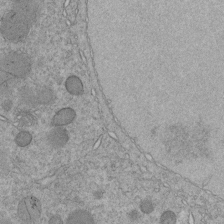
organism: C. elegans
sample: C. elegans embryo early stage